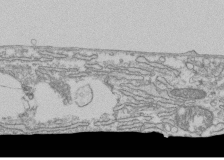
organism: Human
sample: Fibroblast cells